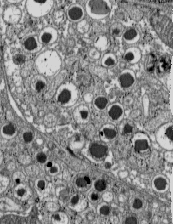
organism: C57BL Mouse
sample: Pancreatic islet